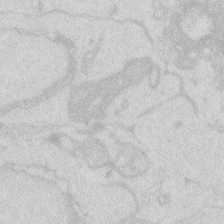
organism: Zebrafish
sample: Macrophage